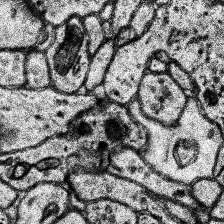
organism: Human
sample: Temporal Lobe